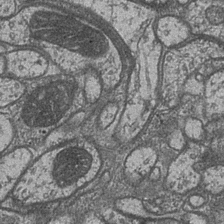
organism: Drosophila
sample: Optic medulla